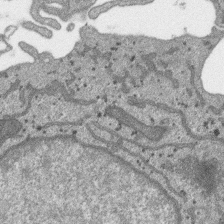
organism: Human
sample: Lung epithelial cells infected with SARS-CoV-2